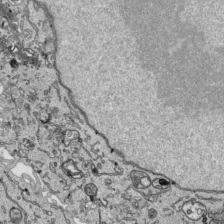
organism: Human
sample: Mitochondria in HCT116 cells